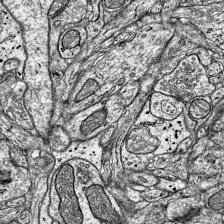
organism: Mouse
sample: Visual Cortex